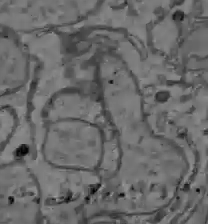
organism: C57BL Mouse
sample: Liver